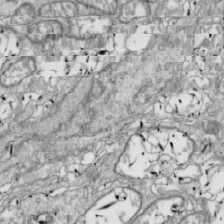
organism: Drosophila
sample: Cell division; meiosis; drosophila spermatocytes